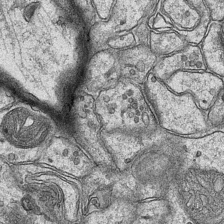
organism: Mouse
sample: CA1 Hippocampus